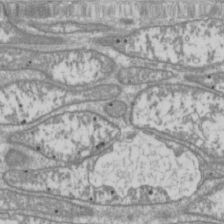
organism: Drosophila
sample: Cell division; meiosis; drosophila spermatocytes